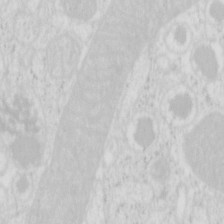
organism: Mouse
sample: Pancreas